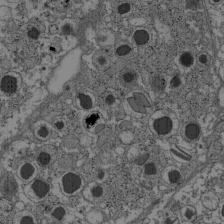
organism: C57BL Mouse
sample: Pancreatic islet